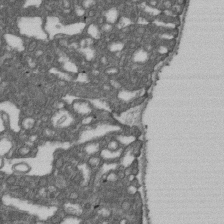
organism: Drosophila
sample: Nephrocyte